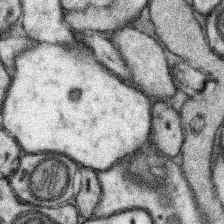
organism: Mouse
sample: Somatosensory cortex neuropil